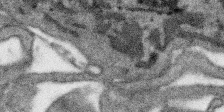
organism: Human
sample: Lung epithelial cells infected with SARS-CoV-2